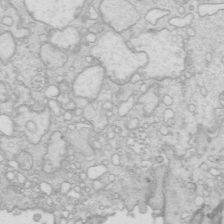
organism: Mouse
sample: Multiciliated cells